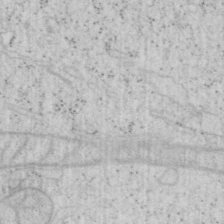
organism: Human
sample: HeLa cells